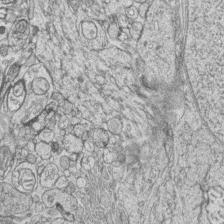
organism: Zebrafish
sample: synaptic ribbons in rod cells and cone cells